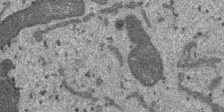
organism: Human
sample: Lung epithelial cells infected with SARS-CoV-2